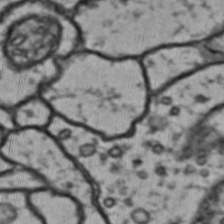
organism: Drosophila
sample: Brain